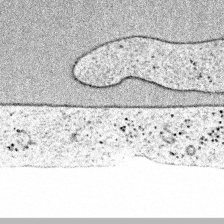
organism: Human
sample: HeLa cells